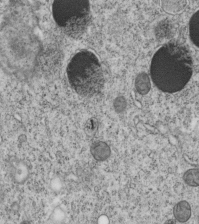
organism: C. elegans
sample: C. elegans embryo early stage